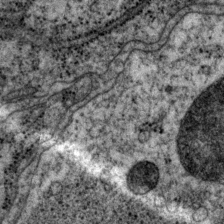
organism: P. pacificus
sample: Pharynx